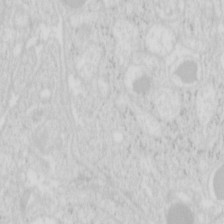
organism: Mouse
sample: Pancreas